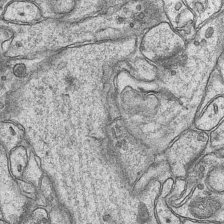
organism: Mouse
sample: CA1 Hippocampus